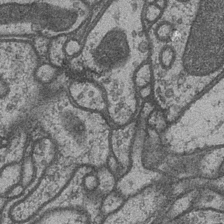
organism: Drosophila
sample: Optic medulla